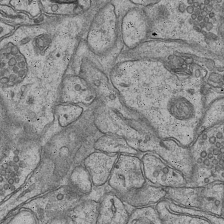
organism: Mouse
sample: CA1 Hippocampus